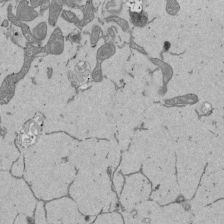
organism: Mouse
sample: ED-1 cell nuclei; centrioles